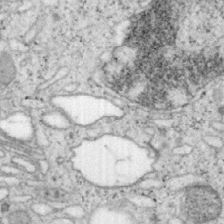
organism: Mouse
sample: OT-I killer T cells with ID8 ovarian cancer cells